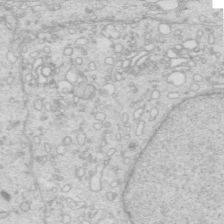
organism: Mouse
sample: Multiciliated cells